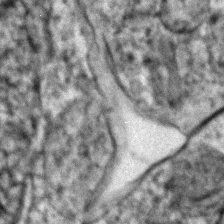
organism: Zebrafish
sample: Zebrafish embryo